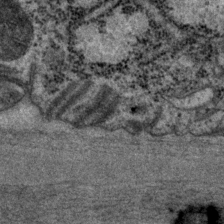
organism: P. pacificus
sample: Pharynx